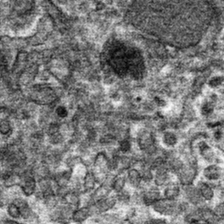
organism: Mouse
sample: Mouse hepatocytes